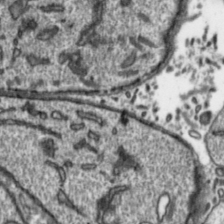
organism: Toxoplasma gondii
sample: Parasites in a vacuole inside a host cell